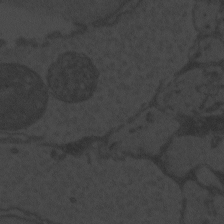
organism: Zebrafish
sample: Macrophage infected with Toxoplasma gondii